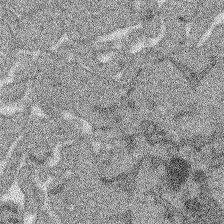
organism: Human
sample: HeLa cells